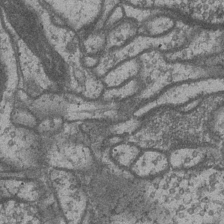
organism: Drosophila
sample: Optic medulla